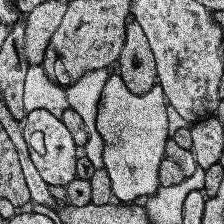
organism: Human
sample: Temporal Lobe